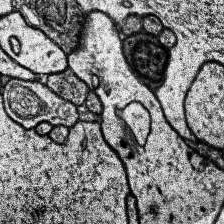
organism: Human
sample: Temporal Lobe